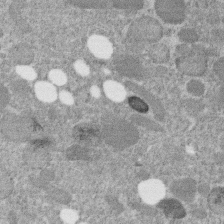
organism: C. elegans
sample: C. elegans embryo early stage